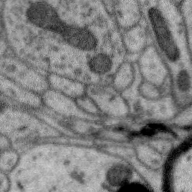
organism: Zebra finch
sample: Brain